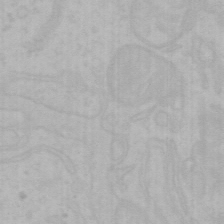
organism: Mouse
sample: Choroid plexus